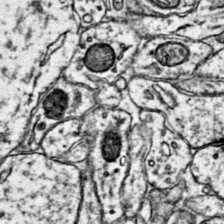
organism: Mouse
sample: Primary visual cortex